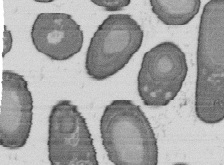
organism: B. subtilis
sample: Bacterial spore